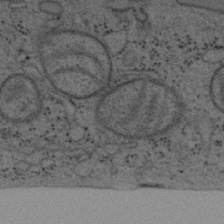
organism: Human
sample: HeLa cells